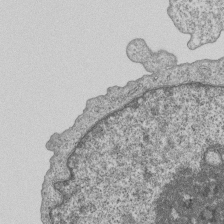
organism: Human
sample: MDA-MB-231 cells